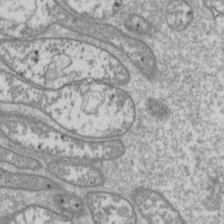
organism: Drosophila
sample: Cell division; meiosis; drosophila spermatocytes